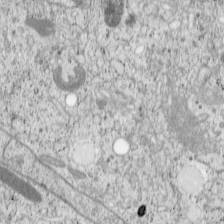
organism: African green monkey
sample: COS-7 cells